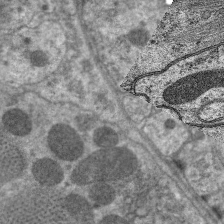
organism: C. elegans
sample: Pharynx